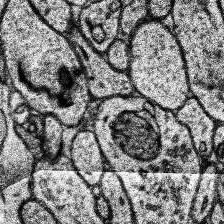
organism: Human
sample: Temporal Lobe